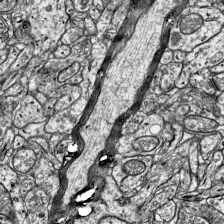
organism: Mouse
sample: Visual Cortex